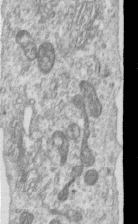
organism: Human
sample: Centriole in RPE cells